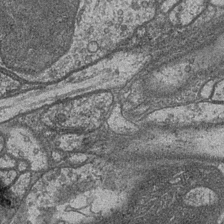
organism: Drosophila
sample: Optic medulla